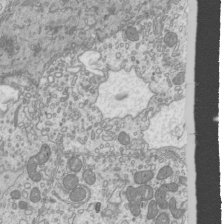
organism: Mouse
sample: Cilia; mouse epididymis